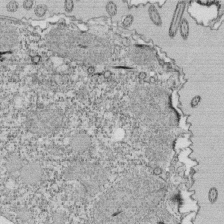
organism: Tetrahymena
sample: Cilia in tetrahymena